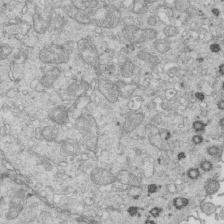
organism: Mouse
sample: Multiciliated cells